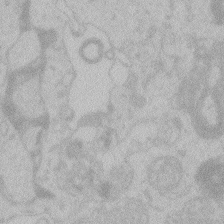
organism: Zebrafish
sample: Macrophage infected with Toxoplasma gondii